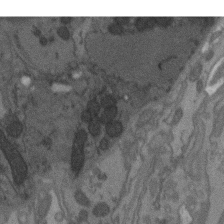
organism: C. elegans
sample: AFD neurons C. elegans